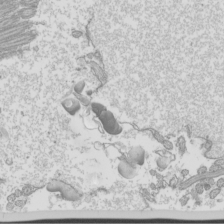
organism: Mouse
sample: Cilia; mouse epididymis